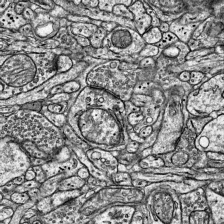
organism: Mouse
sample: Visual Cortex